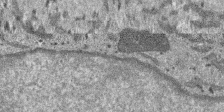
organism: Human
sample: Lung epithelial cells infected with SARS-CoV-2